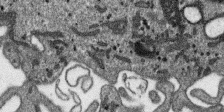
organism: Human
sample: Lung epithelial cells infected with SARS-CoV-2